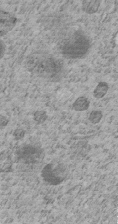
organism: C. elegans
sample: C. elegans embryo early stage